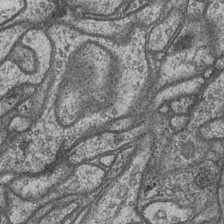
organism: Drosophila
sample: Optic medulla